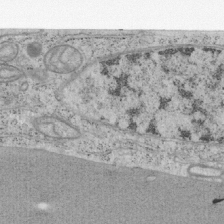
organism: Human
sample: HeLa cells